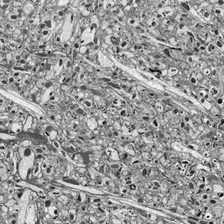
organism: Drosophila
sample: Optic lobe